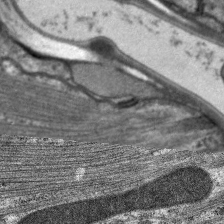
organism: C. elegans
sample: Pharynx